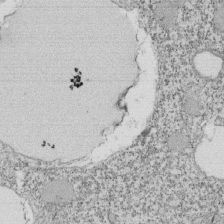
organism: Tetrahymena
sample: Cilia in tetrahymena